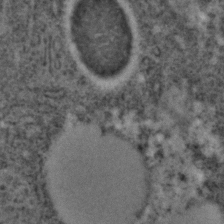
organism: C. elegans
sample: C. elegans embryo